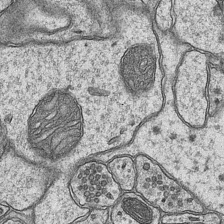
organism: Mouse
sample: CA1 Hippocampus